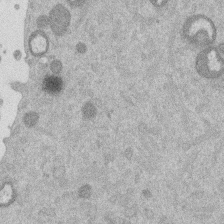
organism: Mouse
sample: Dividing mouse embryo 1 cell stage